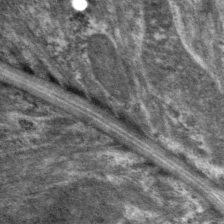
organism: C. elegans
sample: Pharynx